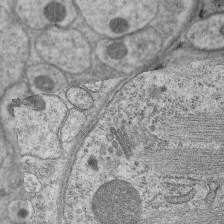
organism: C. elegans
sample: Pharynx